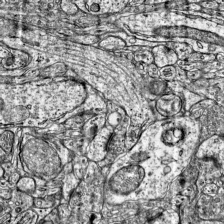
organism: Mouse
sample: Visual Cortex